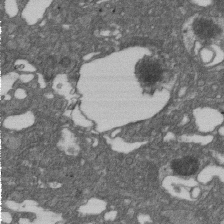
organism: Drosophila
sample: Nephrocyte